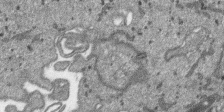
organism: Human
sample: Lung epithelial cells infected with SARS-CoV-2